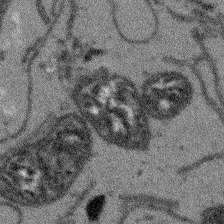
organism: Arabidopsis thaliana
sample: Root tip